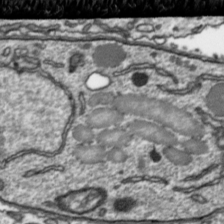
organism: Toxoplasma gondii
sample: Parasites in a vacuole inside a host cell